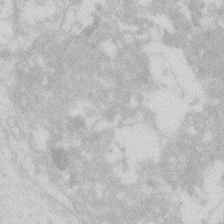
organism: Zebrafish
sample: Macrophage